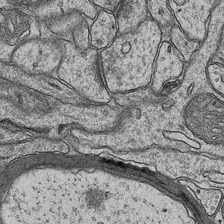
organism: Mouse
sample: CA1 Hippocampus